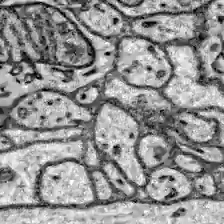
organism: Zebrafish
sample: Brain